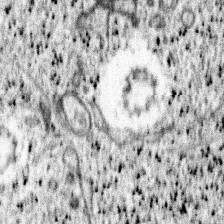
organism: Human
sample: HeLa cells